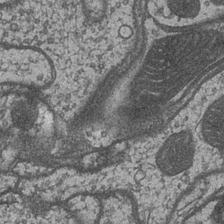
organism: Drosophila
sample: Optic medulla